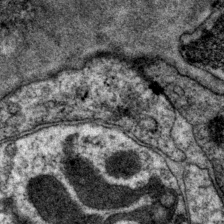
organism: P. pacificus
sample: Pharynx